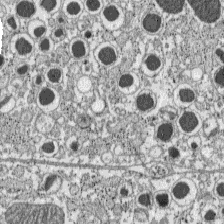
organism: C57BL Mouse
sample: Pancreatic islet